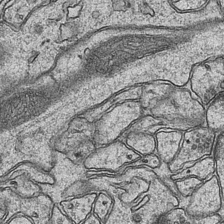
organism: Mouse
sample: CA1 Hippocampus